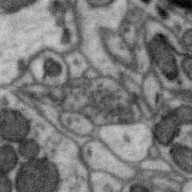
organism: Zebra finch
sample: Brain